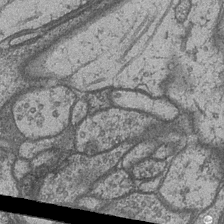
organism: Drosophila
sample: Optic medulla